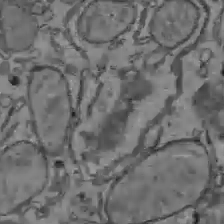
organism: C57BL Mouse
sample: Liver